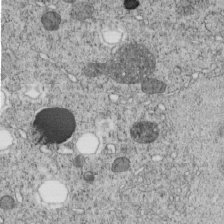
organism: C. elegans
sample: C. elegans embryo early stage